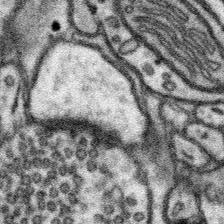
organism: Mouse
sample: Somatosensory cortex neuropil